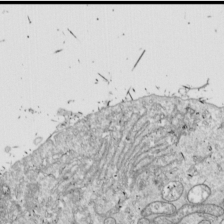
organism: Drosophila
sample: Cell division; meiosis; drosophila spermatocytes